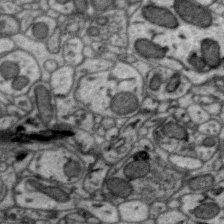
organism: Zebra finch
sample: Brain